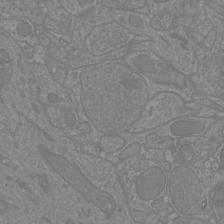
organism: Mouse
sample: Cortical neurons